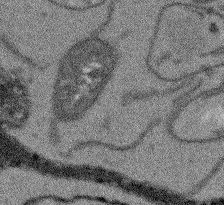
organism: Arabidopsis thaliana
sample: Root tip